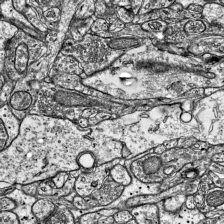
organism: Mouse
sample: Visual Cortex